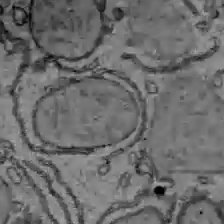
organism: C57BL Mouse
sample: Liver